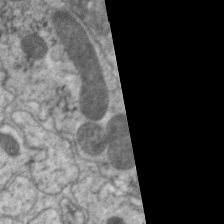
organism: C. elegans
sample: Pharynx